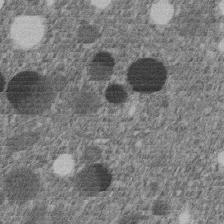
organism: C. elegans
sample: C. elegans embryo early stage